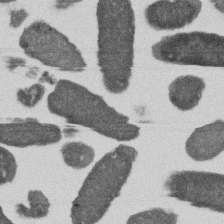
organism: E. coli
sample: Bacterial nucleoid